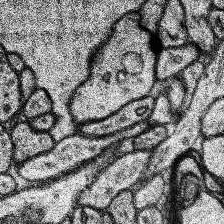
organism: Human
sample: Temporal Lobe